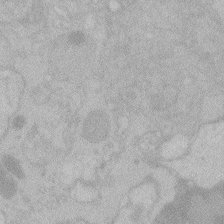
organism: Zebrafish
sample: Macrophage infected with Toxoplasma gondii